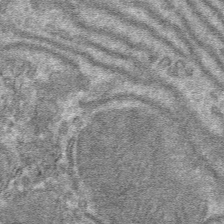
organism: Mouse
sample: Mouse hepatocytes